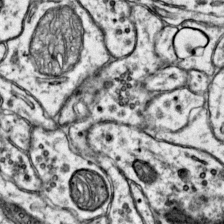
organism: Mouse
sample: Primary visual cortex